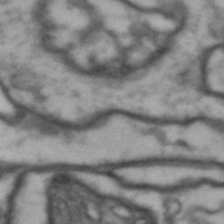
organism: Drosophila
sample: Brain